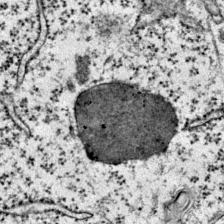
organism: Mouse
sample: Primary visual cortex